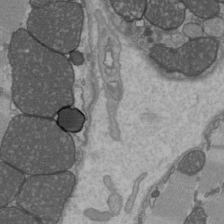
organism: C57BL Mouse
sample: Heart